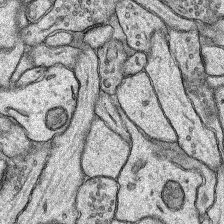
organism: Rat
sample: Hippocampus